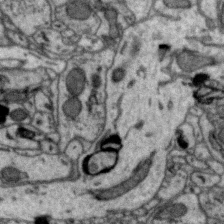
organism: Zebra finch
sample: Brain